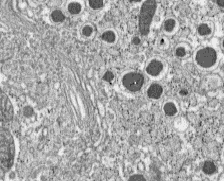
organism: C57BL Mouse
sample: Pancreatic islet